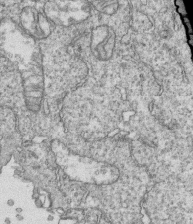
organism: Human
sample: HeLa cell HIV synapse